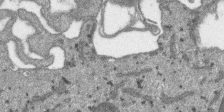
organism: Human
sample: Lung epithelial cells infected with SARS-CoV-2